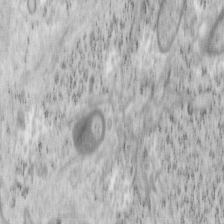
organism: Human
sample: HeLa cells